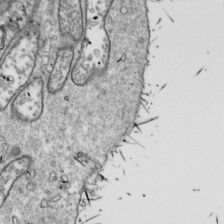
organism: Drosophila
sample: Cell division; meiosis; drosophila spermatocytes